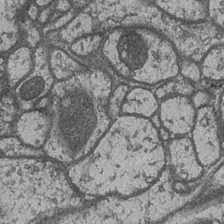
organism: Drosophila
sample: Optic medulla